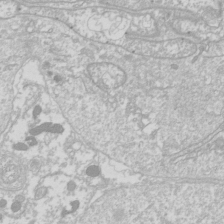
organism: Drosophila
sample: Cell division; meiosis; drosophila spermatocytes